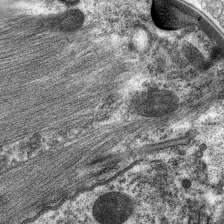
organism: C. elegans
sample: Pharynx